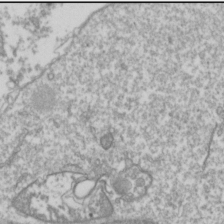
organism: Drosophila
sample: Cell division; meiosis; drosophila spermatocytes